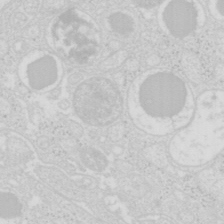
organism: Mouse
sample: Pancreas